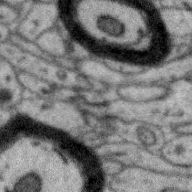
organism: Zebra finch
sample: Brain